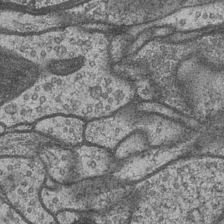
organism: Drosophila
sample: Optic medulla